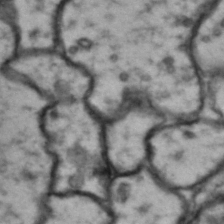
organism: Drosophila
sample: Brain